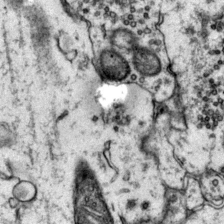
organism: Mouse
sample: Primary visual cortex